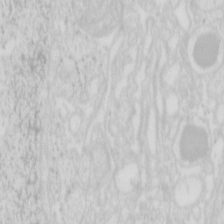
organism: Mouse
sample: Pancreas